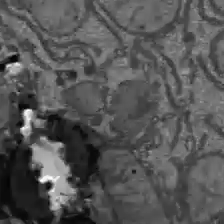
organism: C57BL Mouse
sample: Liver